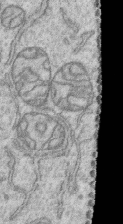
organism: Human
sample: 1205lu cells